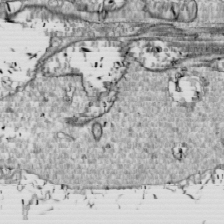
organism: Drosophila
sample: Cell division; meiosis; drosophila spermatocytes